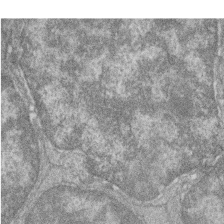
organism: Zebrafish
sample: Cilia; retinal pigment epithelium